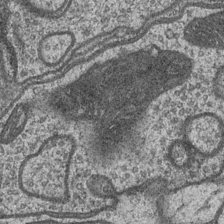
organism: Drosophila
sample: Optic medulla